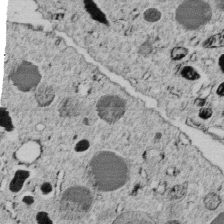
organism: C. elegans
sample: C. elegans embryo early stage